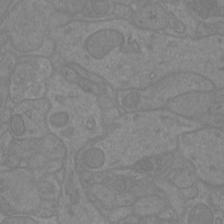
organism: Mouse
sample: Cortical neurons